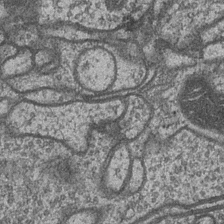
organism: Drosophila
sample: Optic medulla